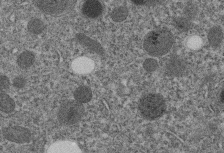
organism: C. elegans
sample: C. elegans embryo early stage